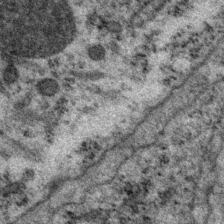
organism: P. pacificus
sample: Pharynx